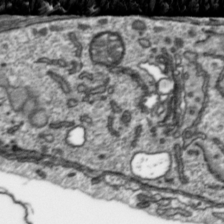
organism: Toxoplasma gondii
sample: Parasites in a vacuole inside a host cell